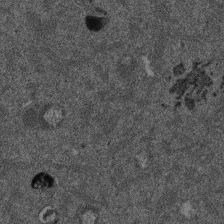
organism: Mouse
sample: Dividing mouse embryo 1 cell stage